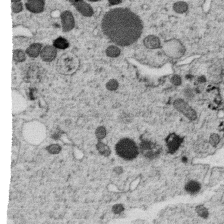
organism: C. elegans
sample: C. elegans oocyte; sperm cells